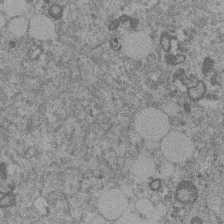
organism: Mouse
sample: Dividing mouse embryo 1 cell stage